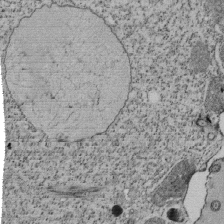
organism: Tetrahymena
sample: Cilia in tetrahymena